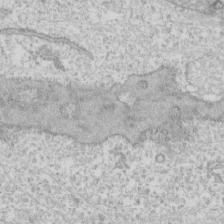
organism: Human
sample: CRL-1474